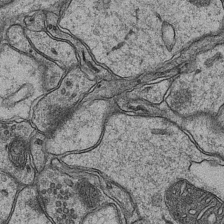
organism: Mouse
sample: CA1 Hippocampus